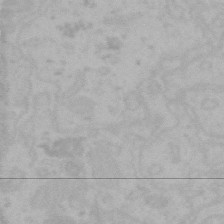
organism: Mouse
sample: Choroid plexus